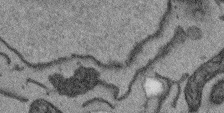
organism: Arabidopsis thaliana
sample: Root tip